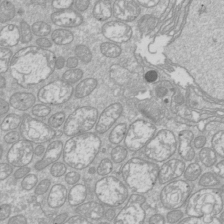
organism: Drosophila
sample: Cell division; meiosis; drosophila spermatocytes